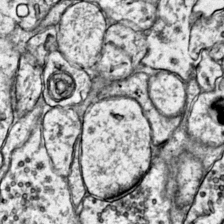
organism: Mouse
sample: Primary visual cortex